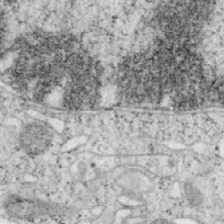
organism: Mouse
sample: OT-I killer T cells with ID8 ovarian cancer cells